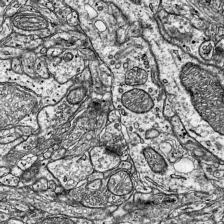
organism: Mouse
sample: Visual Cortex